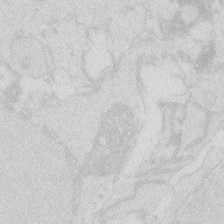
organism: Zebrafish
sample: Macrophage